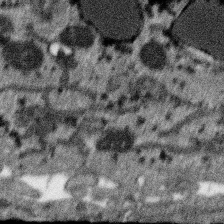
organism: Human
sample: Lung epithelial cells infected with SARS-CoV-2